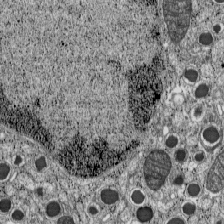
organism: C57BL Mouse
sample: Pancreatic islet